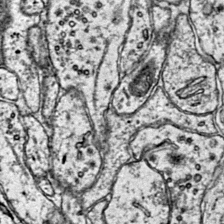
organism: Mouse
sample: Primary visual cortex